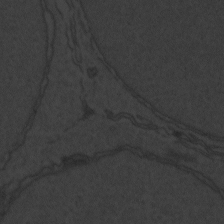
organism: Zebrafish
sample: Macrophage infected with Toxoplasma gondii